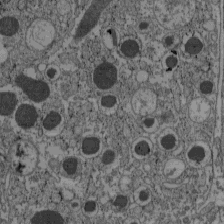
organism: C57BL Mouse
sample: Pancreatic islet